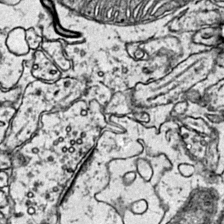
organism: Mouse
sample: Primary visual cortex